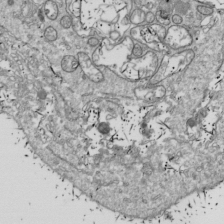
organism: Drosophila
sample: Cell division; meiosis; drosophila spermatocytes